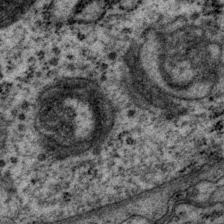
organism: P. pacificus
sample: Pharynx